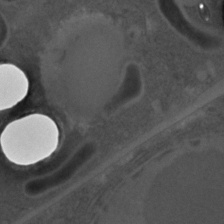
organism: C. elegans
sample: C. elegans embryo